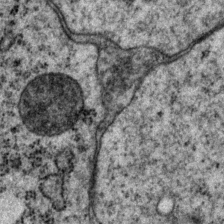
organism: P. pacificus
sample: Pharynx